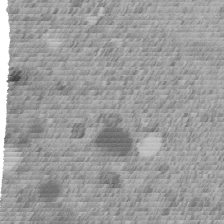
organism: C. elegans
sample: C. elegans embryo early stage